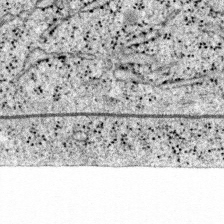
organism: Human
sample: HeLa cells